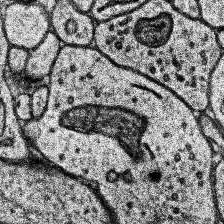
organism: Human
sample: Temporal Lobe